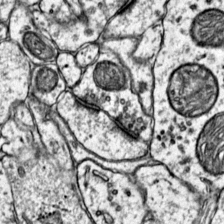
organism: Mouse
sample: Primary visual cortex